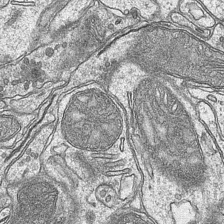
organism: Mouse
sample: CA1 Hippocampus